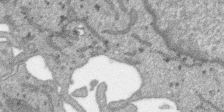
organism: Human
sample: Lung epithelial cells infected with SARS-CoV-2